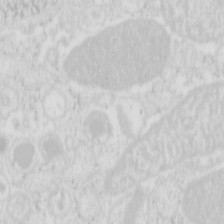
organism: Mouse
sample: Pancreas